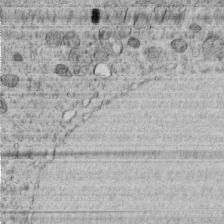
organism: C. elegans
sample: C. elegans embryo early stage